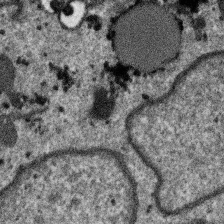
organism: Human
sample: Lung epithelial cells infected with SARS-CoV-2